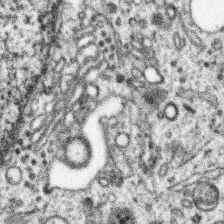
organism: Human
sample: HeLa cells